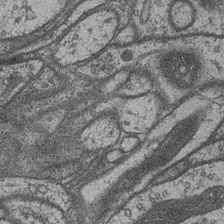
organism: Drosophila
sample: Optic medulla